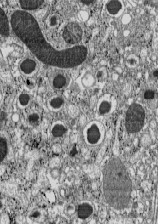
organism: C57BL Mouse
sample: Pancreatic islet